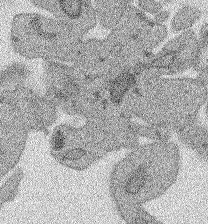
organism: Human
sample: HeLa cells